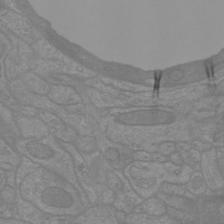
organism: Mouse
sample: Cortical neurons